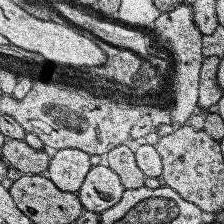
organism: Human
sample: Temporal Lobe